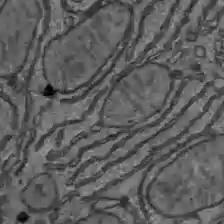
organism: C57BL Mouse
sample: Liver